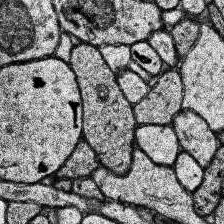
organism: Human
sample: Temporal Lobe